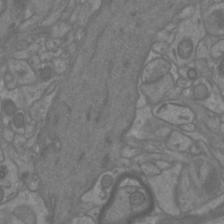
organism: Mouse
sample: Cortical neurons